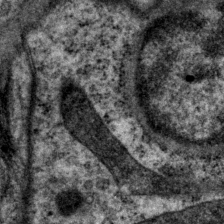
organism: P. pacificus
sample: Pharynx